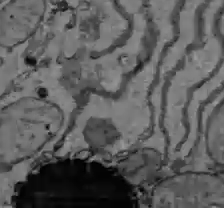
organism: C57BL Mouse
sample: Liver